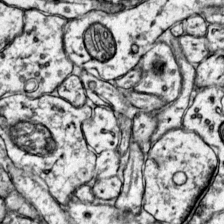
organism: Mouse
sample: Primary visual cortex